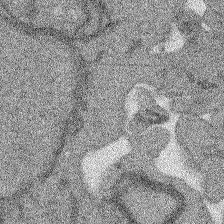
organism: Human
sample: HeLa cells